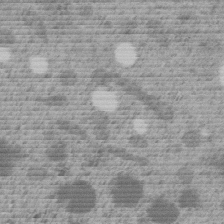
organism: C. elegans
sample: C. elegans embryo early stage